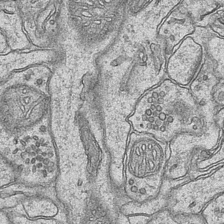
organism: Mouse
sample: CA1 Hippocampus